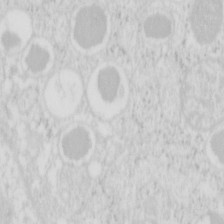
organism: Mouse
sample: Pancreas